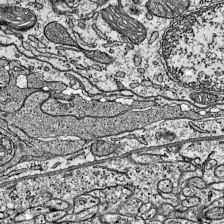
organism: Mouse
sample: Visual Cortex